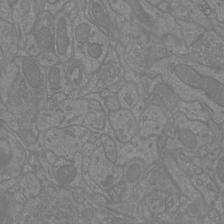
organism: Mouse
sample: Cortical neurons